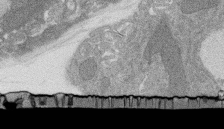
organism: Rat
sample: Salivary granule